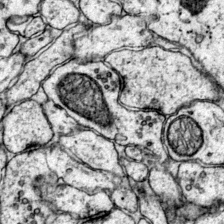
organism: Mouse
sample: Primary visual cortex